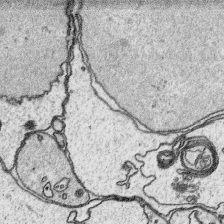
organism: Platynereis dumerilii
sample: Parapodia